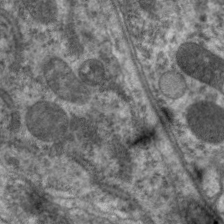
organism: C. elegans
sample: Pharynx